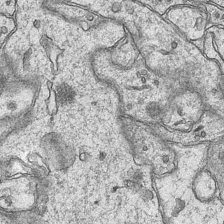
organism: Mouse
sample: CA1 Hippocampus